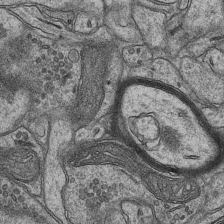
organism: Mouse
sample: CA1 Hippocampus